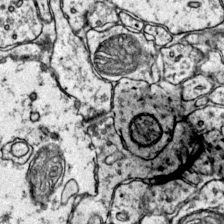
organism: Mouse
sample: Primary visual cortex